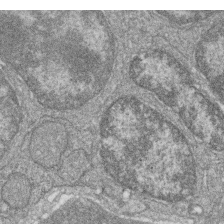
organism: Zebrafish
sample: Cilia; retinal pigment epithelium